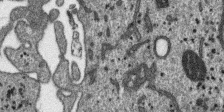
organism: Human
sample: Lung epithelial cells infected with SARS-CoV-2